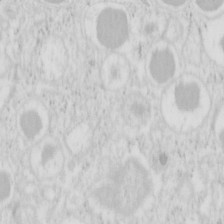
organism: Mouse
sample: Pancreas